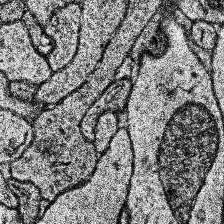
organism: Human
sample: Temporal Lobe